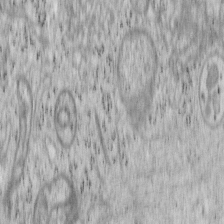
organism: Human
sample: HeLa cells